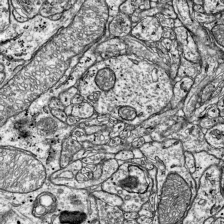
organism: Mouse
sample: Visual Cortex